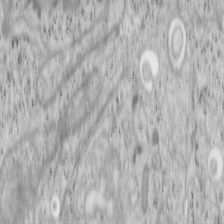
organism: Human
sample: HeLa cells